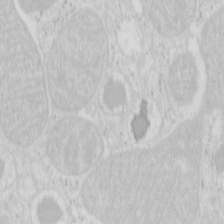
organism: Mouse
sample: Pancreas